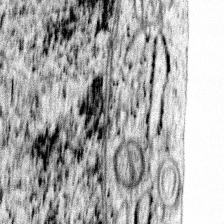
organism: Human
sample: HeLa cells